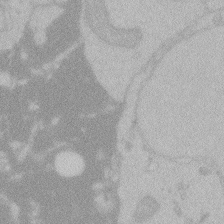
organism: Zebrafish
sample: Macrophage infected with Toxoplasma gondii